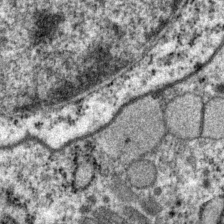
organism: P. pacificus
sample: Pharynx